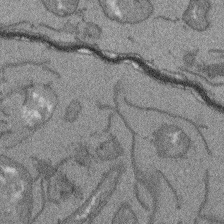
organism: Arabidopsis thaliana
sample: Root tip